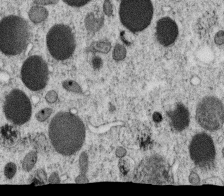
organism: C. elegans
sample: C. elegans oocyte; sperm cells